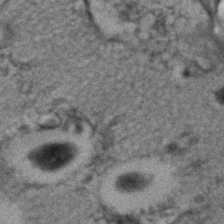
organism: C. elegans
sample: C. elegans embryo